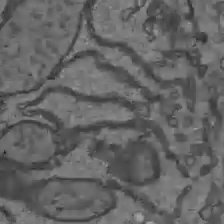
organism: C57BL Mouse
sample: Liver